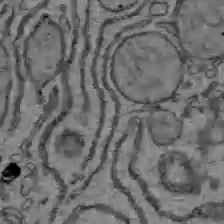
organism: C57BL Mouse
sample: Liver